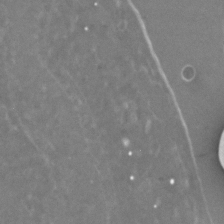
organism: C. elegans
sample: C. elegans embryo